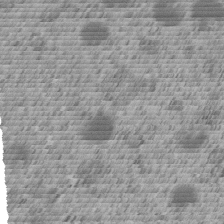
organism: C. elegans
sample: C. elegans embryo early stage